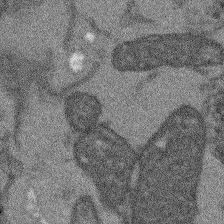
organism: Arabidopsis thaliana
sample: Root tip